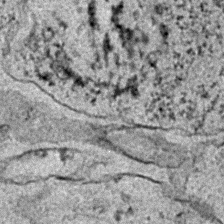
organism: C. elegans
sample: C. elegans embryo